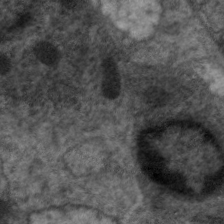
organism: C. elegans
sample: Pharynx